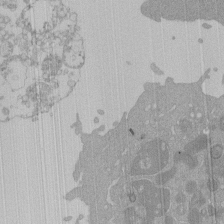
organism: Mouse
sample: Activated Pmel transgenic CD8+ T Cells